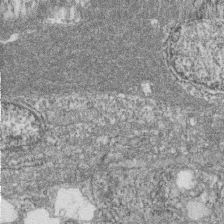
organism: Zebrafish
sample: Cilia; retinal pigment epithelium